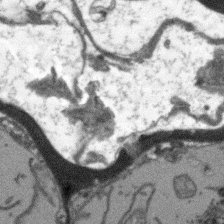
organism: Arabidopsis thaliana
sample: Root tip